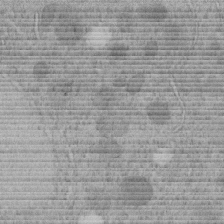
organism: C. elegans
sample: C. elegans embryo early stage